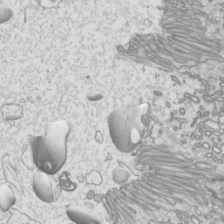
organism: Mouse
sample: Cilia; mouse epididymis